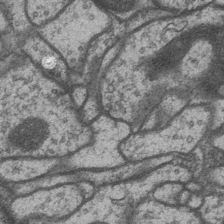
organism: Drosophila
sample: Optic medulla